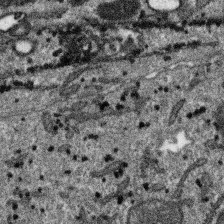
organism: Human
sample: Lung epithelial cells infected with SARS-CoV-2